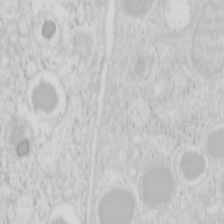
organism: Mouse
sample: Pancreas